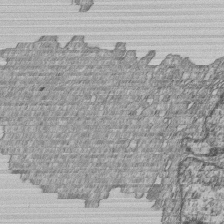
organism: Human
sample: MDA-MB-231 cells